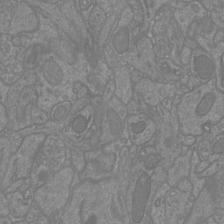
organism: Mouse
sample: Cortical neurons